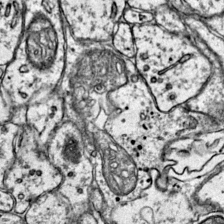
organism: Mouse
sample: Primary visual cortex